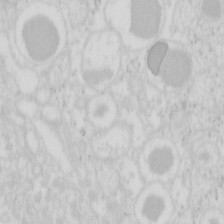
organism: Mouse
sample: Pancreas